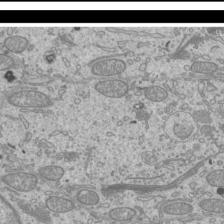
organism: Mouse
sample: Cilia; mouse epididymis